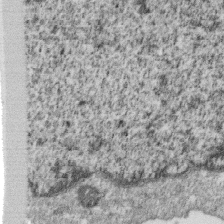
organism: African green monkey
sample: Vero E6 cells infected with SARS-CoV-2